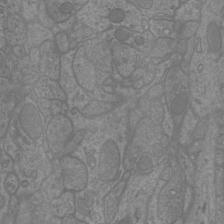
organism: Mouse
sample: Cortical neurons